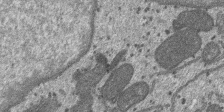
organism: Human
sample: Lung epithelial cells infected with SARS-CoV-2